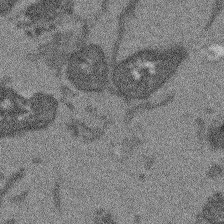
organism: Arabidopsis thaliana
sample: Root tip